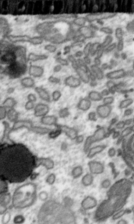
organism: Toxoplasma gondii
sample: Parasites in a vacuole inside a host cell